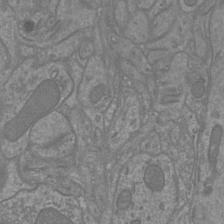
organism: Mouse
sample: Cortical neurons